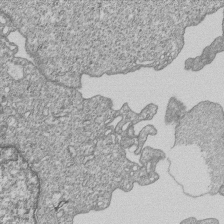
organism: Human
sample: MDA-MB-231 cells